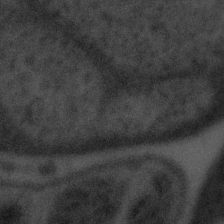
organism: Tuwongella immobilis